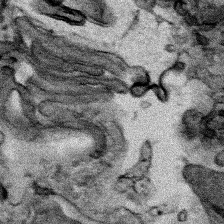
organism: Human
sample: Mitochondria in HCT116 cells